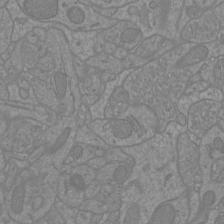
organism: Mouse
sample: Cortical neurons